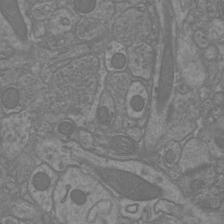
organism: Mouse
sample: Cortical neurons